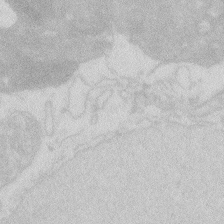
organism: Zebrafish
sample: Macrophage